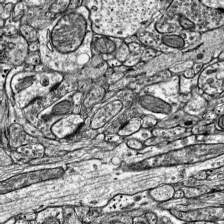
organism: Mouse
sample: Visual Cortex